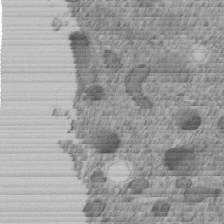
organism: C. elegans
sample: C. elegans embryo early stage